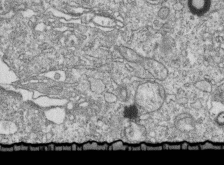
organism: Human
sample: HeLa cell HIV synapse